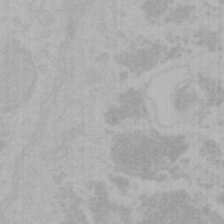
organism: Mouse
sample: Choroid plexus